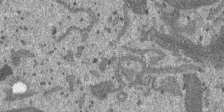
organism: Human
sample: Lung epithelial cells infected with SARS-CoV-2